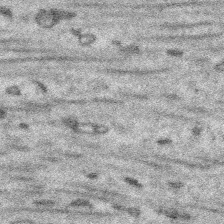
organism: Platynereis dumerilii